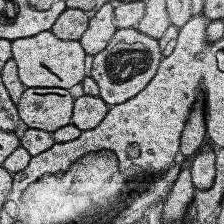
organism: Human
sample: Temporal Lobe